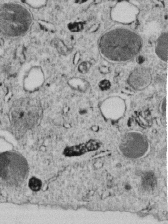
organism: C. elegans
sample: C. elegans embryo early stage